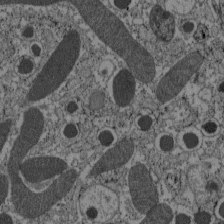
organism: C57BL Mouse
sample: Pancreatic islet